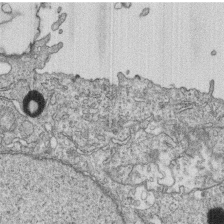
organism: Human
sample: HeLa cell HIV synapse